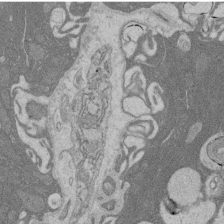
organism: Rat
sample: Salivary granule